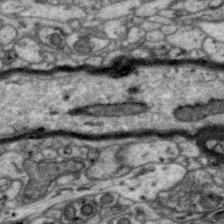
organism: Zebra finch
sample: Brain